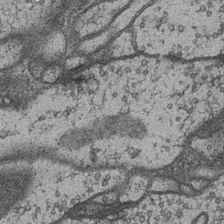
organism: Drosophila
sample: Optic medulla